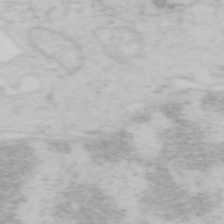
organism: Mouse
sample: OT-I killer T cells with ID8 ovarian cancer cells